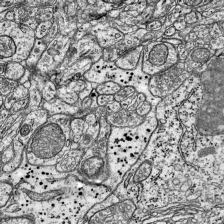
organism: Mouse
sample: Visual Cortex